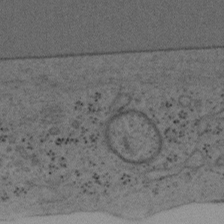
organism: Human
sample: HeLa cells